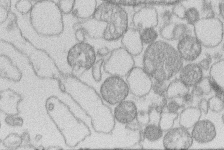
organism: Human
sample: Macrophage cells